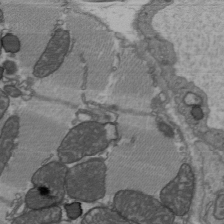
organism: C57BL Mouse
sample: Heart